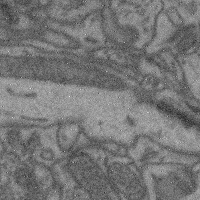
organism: Mouse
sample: Cerebral cortex